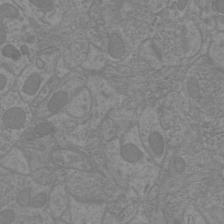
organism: Mouse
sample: Cortical neurons